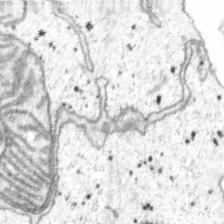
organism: Human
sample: HeLa cells